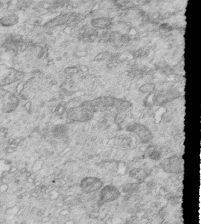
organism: Mouse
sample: Multiciliated cells